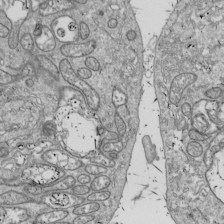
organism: Drosophila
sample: Cell division; meiosis; drosophila spermatocytes